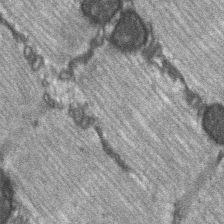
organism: C57BL Mouse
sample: Soleus